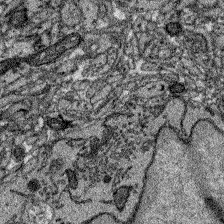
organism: Zebrafish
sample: Larval olfactory bulb